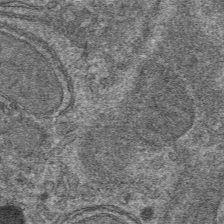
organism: Mouse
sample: Mouse hepatocytes